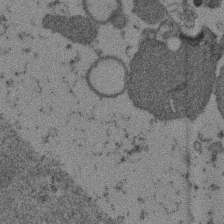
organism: Mouse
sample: Dividing mouse embryo 1 cell stage